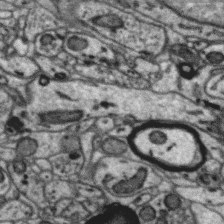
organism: Zebra finch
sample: Brain